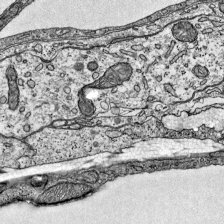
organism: Mouse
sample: Visual Cortex